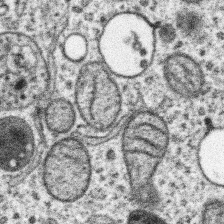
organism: Human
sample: HeLa cells